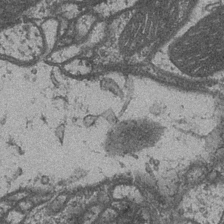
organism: Drosophila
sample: Optic medulla